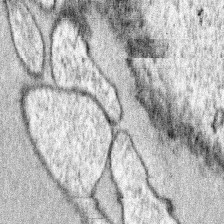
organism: Human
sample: HeLa cells